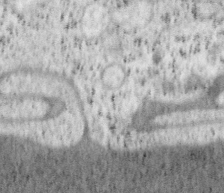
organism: Mouse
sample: OT-I killer T cells with ID8 ovarian cancer cells